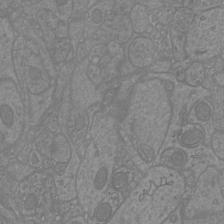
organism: Mouse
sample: Cortical neurons